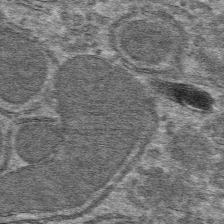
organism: Mouse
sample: Mouse hepatocytes